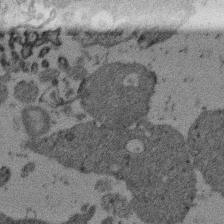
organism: Mouse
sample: Dividing mouse embryo 1 cell stage